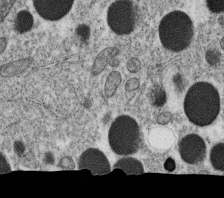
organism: C. elegans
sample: C. elegans oocyte; sperm cells